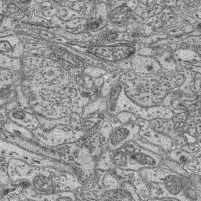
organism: Mouse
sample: Retina